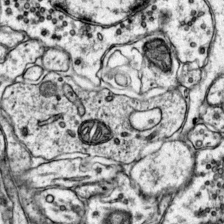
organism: Mouse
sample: Primary visual cortex